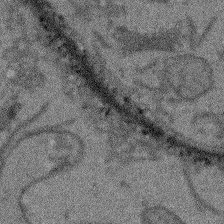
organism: Arabidopsis thaliana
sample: Root tip